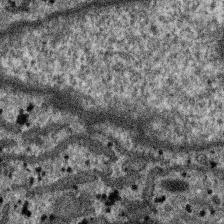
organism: Human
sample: Lung epithelial cells infected with SARS-CoV-2